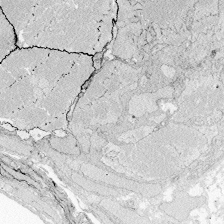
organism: Zebrafish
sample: Whole-Brain